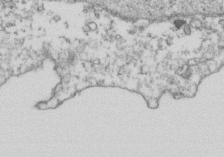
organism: Human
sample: Activated Jurkat CD4+ T cells